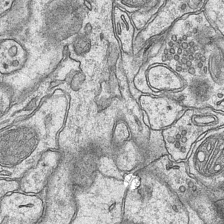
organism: Mouse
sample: CA1 Hippocampus